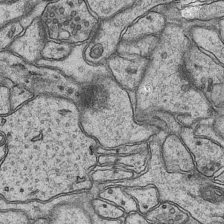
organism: Mouse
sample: CA1 Hippocampus